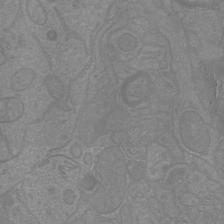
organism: Mouse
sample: Cortical neurons